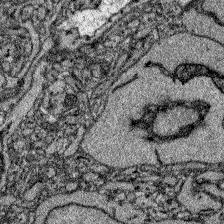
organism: Zebrafish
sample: Larval olfactory bulb